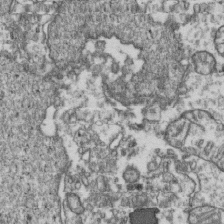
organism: Human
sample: Activated Jurkat CD4+ T cells